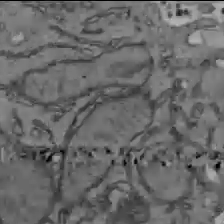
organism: C57BL Mouse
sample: Liver